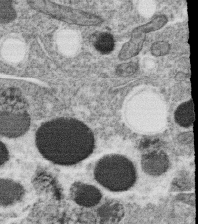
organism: C. elegans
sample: C. elegans oocyte; sperm cells